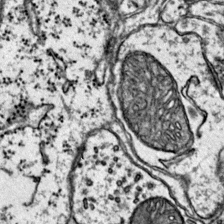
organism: Mouse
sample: Primary visual cortex